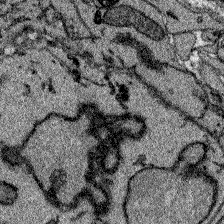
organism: Zebrafish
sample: Larval olfactory bulb